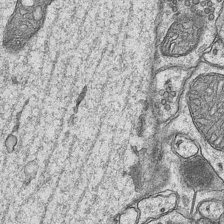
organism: Mouse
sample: CA1 Hippocampus